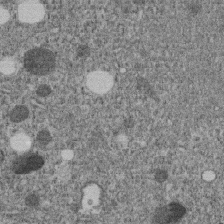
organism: C. elegans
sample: C. elegans embryo early stage